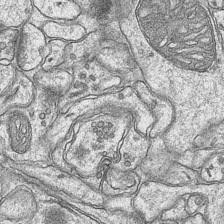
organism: Mouse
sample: CA1 Hippocampus